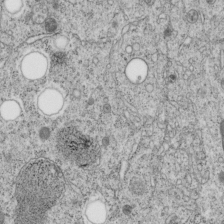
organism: C. elegans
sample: C. elegans embryo early stage